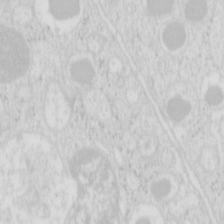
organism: Mouse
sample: Pancreas